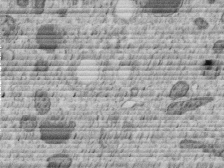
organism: C. elegans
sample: C. elegans embryo early stage